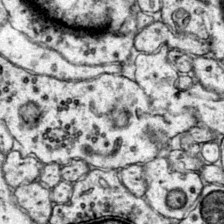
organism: Mouse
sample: Primary visual cortex